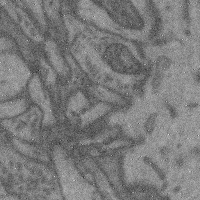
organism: Mouse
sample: Cerebral cortex